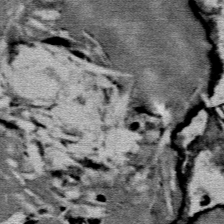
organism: Mouse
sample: Mouse Salivary gland